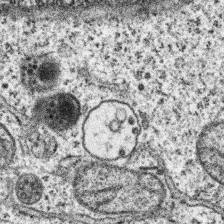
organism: Human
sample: HeLa cells